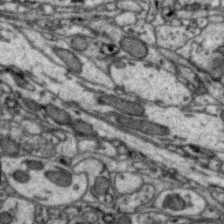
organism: Zebra finch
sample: Brain